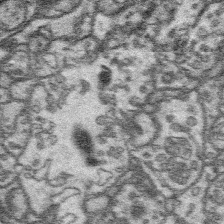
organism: Platynereis dumerilii